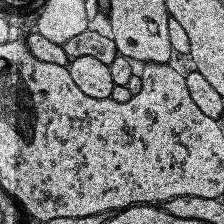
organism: Human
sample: Temporal Lobe